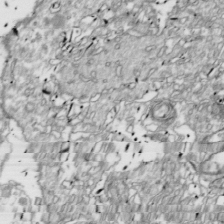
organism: Drosophila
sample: Cell division; meiosis; drosophila spermatocytes